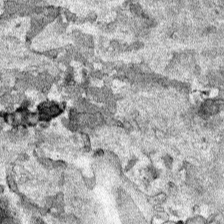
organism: Human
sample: Mitochondria in HCT116 cells